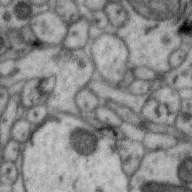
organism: Zebra finch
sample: Brain